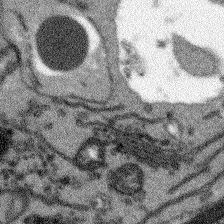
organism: Arabidopsis thaliana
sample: Root tip